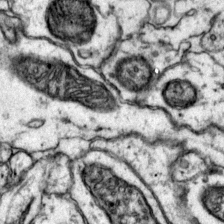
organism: Mouse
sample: Primary visual cortex